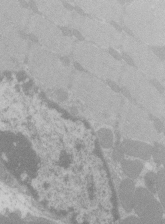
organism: C57BL Mouse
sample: Tibialis anterior muscle cell